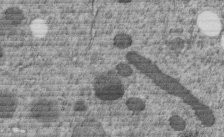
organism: C. elegans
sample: C. elegans embryo early stage